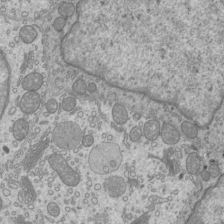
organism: Mouse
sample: Cilia; mouse epididymis